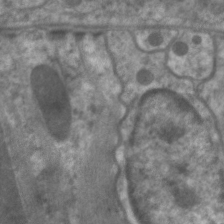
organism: C. elegans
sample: Pharynx